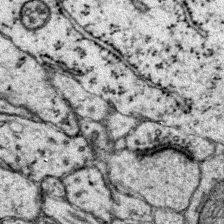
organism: Mouse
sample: Primary visual cortex